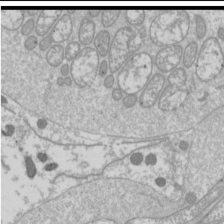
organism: Drosophila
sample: Cell division; meiosis; drosophila spermatocytes